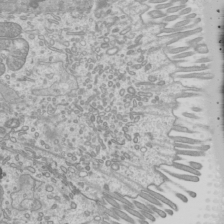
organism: Mouse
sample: Cilia; mouse epididymis